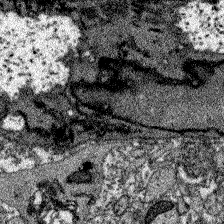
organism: Zebrafish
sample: Larval olfactory bulb